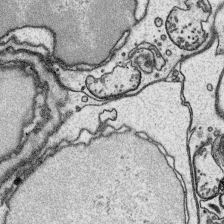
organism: Platynereis dumerilii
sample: Parapodia